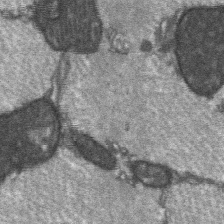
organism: C57BL Mouse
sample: Soleus